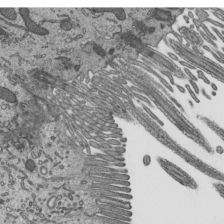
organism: Mouse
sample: Mouse epididymis efferent ductule cilia